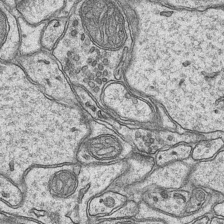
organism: Mouse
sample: CA1 Hippocampus